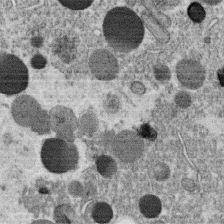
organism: C. elegans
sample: C. elegans oocyte; sperm cells